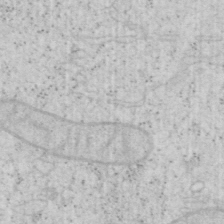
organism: Human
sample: HeLa cells